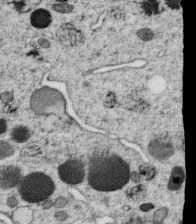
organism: C. elegans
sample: C. elegans oocyte; sperm cells